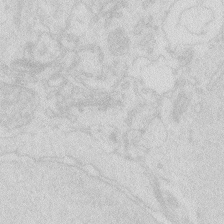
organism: Zebrafish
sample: Macrophage